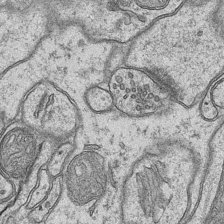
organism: Mouse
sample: CA1 Hippocampus